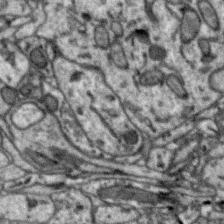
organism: Zebra finch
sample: Brain